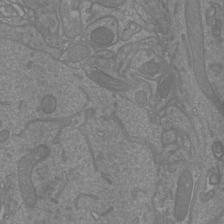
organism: Mouse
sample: Cortical neurons